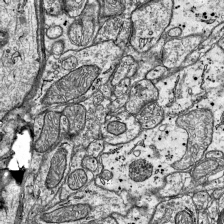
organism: Mouse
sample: Visual Cortex